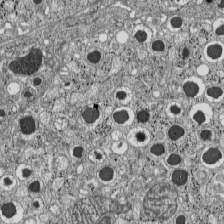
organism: C57BL Mouse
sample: Pancreatic islet